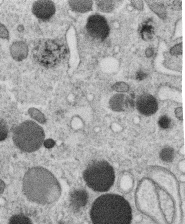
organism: C. elegans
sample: C. elegans oocyte; sperm cells